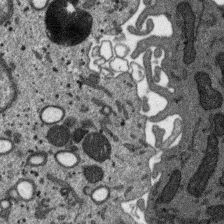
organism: Human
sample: Lung epithelial cells infected with SARS-CoV-2